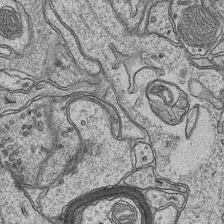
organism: Mouse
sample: CA1 Hippocampus